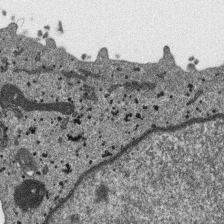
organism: Human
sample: Lung epithelial cells infected with SARS-CoV-2